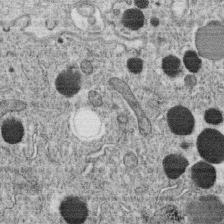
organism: C. elegans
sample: C. elegans oocyte; sperm cells